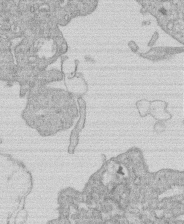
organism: Human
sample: Macrophage cells